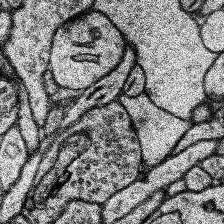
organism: Human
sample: Temporal Lobe